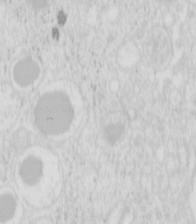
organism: Mouse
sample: Pancreas